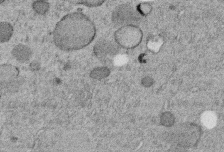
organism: C. elegans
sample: C. elegans embryo early stage